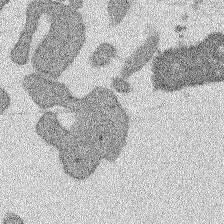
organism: Human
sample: HeLa cells